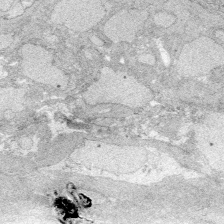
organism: Zebrafish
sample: Whole-Brain